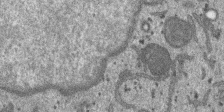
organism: Human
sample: Lung epithelial cells infected with SARS-CoV-2